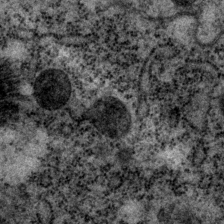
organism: P. pacificus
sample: Pharynx